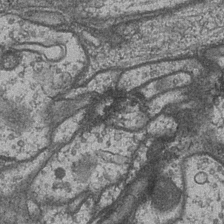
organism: Drosophila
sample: Optic medulla